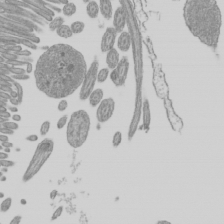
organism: Mouse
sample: Cilia; mouse epididymis